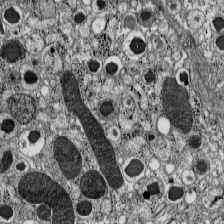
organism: C57BL Mouse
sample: Pancreatic islet